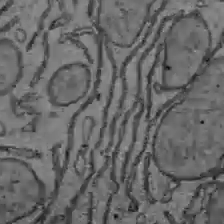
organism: C57BL Mouse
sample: Liver